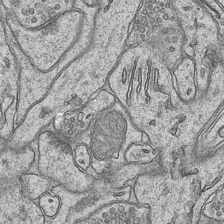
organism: Mouse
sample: CA1 Hippocampus